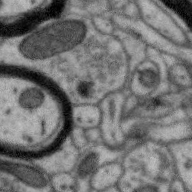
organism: Zebra finch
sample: Brain